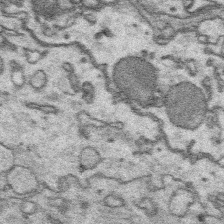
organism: Platynereis dumerilii